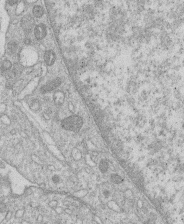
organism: Human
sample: Macrophage cells